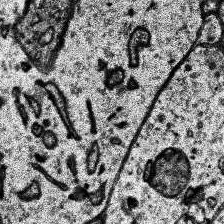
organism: Human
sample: Temporal Lobe